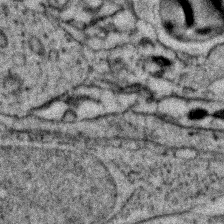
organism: Zebrafish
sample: Zebrafish embryo